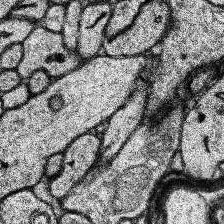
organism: Human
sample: Temporal Lobe